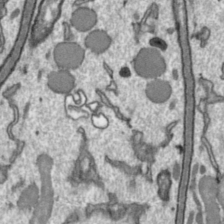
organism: Toxoplasma gondii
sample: Parasites in a vacuole inside a host cell